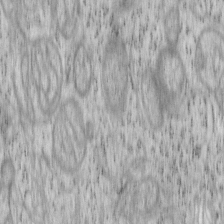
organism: Human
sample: HeLa cells